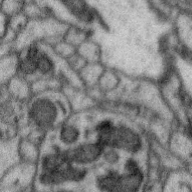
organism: Zebra finch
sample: Brain